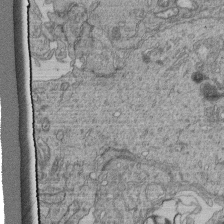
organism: Human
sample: Retinal organoid Rod and Cone cells